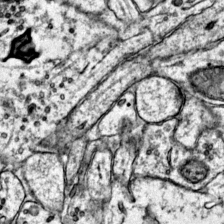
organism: Mouse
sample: Primary visual cortex